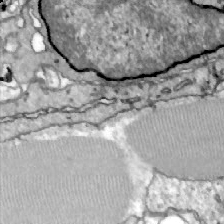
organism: Zebrafish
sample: Actinotrichia fibers